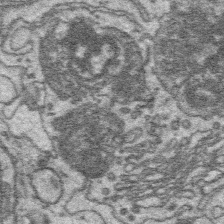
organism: Platynereis dumerilii